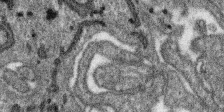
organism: Human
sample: Lung epithelial cells infected with SARS-CoV-2